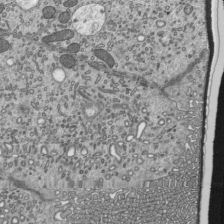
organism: Mouse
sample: Mouse epididymis efferent ductule cilia